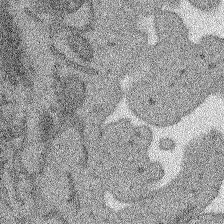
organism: Human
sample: HeLa cells